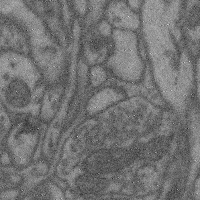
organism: Mouse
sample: Cerebral cortex